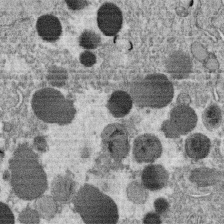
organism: C. elegans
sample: C. elegans oocyte; sperm cells